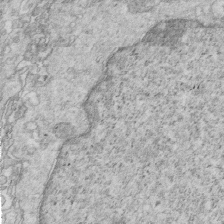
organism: Mouse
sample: Multiciliated cells